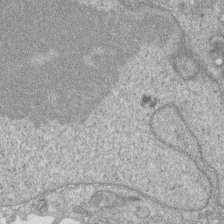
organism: Human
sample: HeLa cell HIV synapse